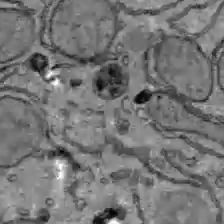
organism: C57BL Mouse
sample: Liver